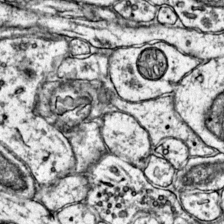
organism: Mouse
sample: Primary visual cortex